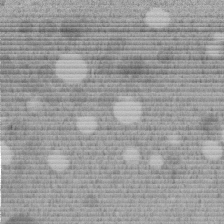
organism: C. elegans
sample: C. elegans embryo early stage